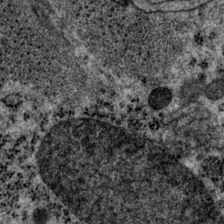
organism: P. pacificus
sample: Pharynx